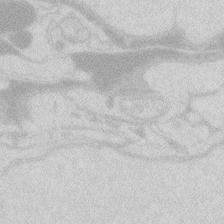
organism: Zebrafish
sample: Macrophage